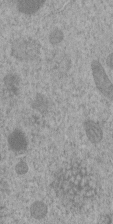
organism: C. elegans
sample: C. elegans embryo early stage